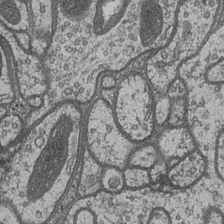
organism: Drosophila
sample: Optic medulla